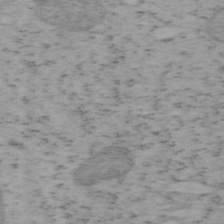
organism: Mouse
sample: OT-I killer T cells with ID8 ovarian cancer cells